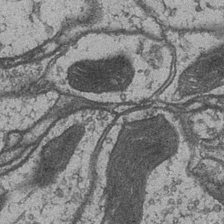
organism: Drosophila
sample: Optic medulla